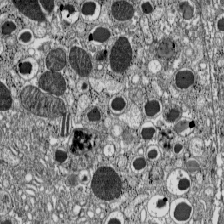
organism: C57BL Mouse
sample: Pancreatic islet